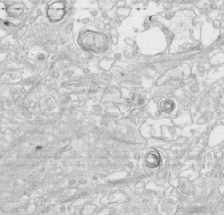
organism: Human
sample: CRL-1474